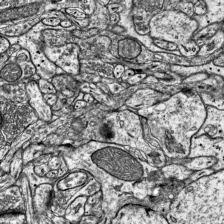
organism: Mouse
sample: Visual Cortex